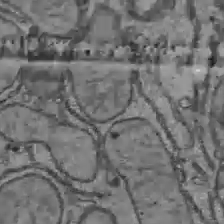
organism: C57BL Mouse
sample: Liver